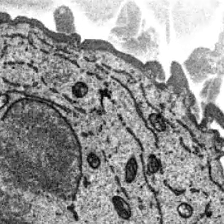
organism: Human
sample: HeLa cells